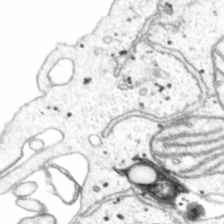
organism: Human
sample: HeLa cells